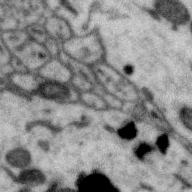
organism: Zebra finch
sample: Brain